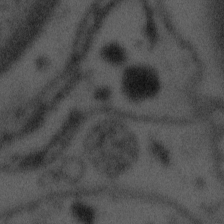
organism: Tuwongella immobilis